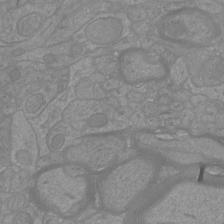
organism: Mouse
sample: Cortical neurons